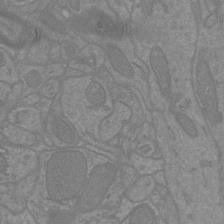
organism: Mouse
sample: Cortical neurons